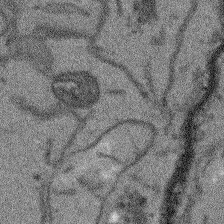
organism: Arabidopsis thaliana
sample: Root tip